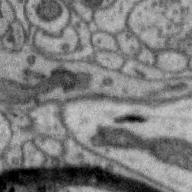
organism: Zebra finch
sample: Brain